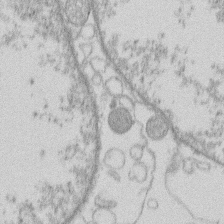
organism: Human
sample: Macrophage cells